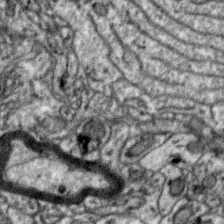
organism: Zebra finch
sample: Brain